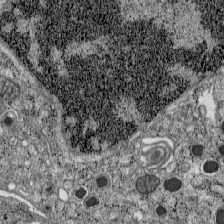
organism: C57BL Mouse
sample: Pancreatic islet